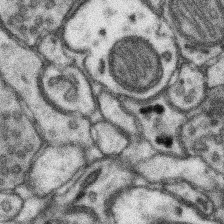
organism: Mouse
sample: Somatosensory cortex neuropil